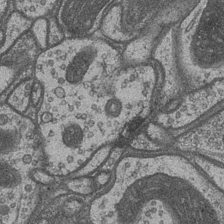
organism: Drosophila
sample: Optic medulla